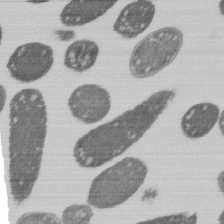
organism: E. coli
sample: Bacterial nucleoid